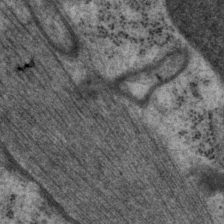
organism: P. pacificus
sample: Pharynx